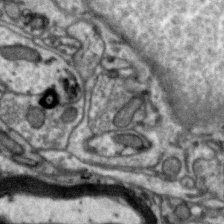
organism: Zebra finch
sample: Brain